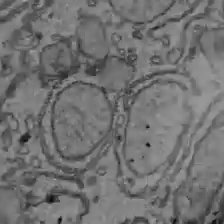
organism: C57BL Mouse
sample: Liver